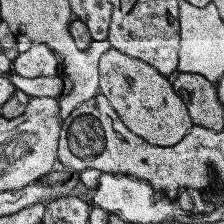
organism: Human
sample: Temporal Lobe